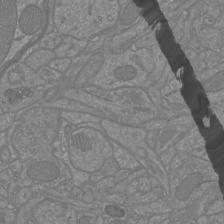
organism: Mouse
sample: Cortical neurons